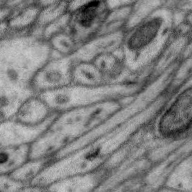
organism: Zebra finch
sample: Brain